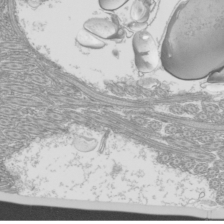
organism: Mouse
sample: Cilia; mouse epididymis